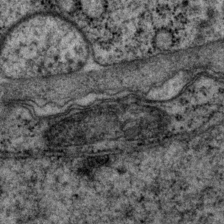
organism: P. pacificus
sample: Pharynx